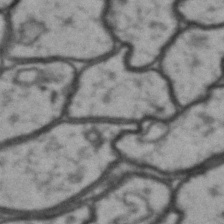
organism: Drosophila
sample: Brain